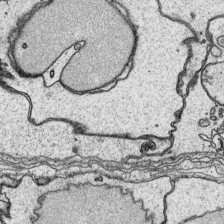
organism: Platynereis dumerilii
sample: Parapodia